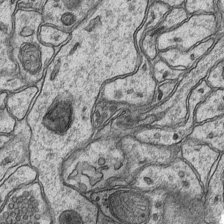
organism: Mouse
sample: CA1 Hippocampus